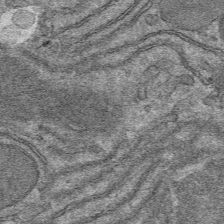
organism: Mouse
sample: Mouse hepatocytes